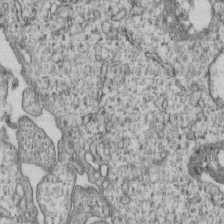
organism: Human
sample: MDA-MB-231 cells